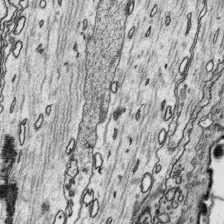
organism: Platynereis dumerilii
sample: Parapodia